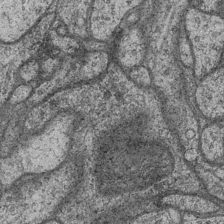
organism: Drosophila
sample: Optic medulla